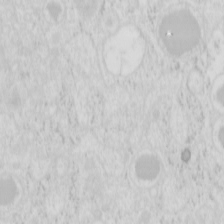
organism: Mouse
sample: Pancreas